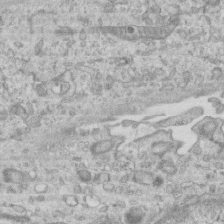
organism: Mouse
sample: Centriole in ependymal cells